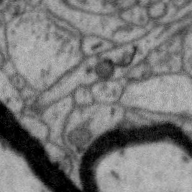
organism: Zebra finch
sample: Brain